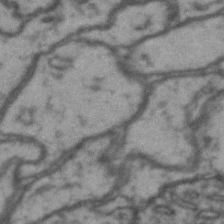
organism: Drosophila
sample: Brain